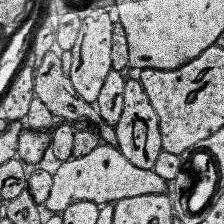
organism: Human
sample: Temporal Lobe